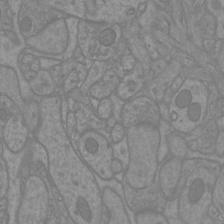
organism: Mouse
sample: Cortical neurons